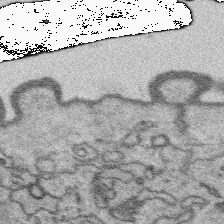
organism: Platynereis dumerilii